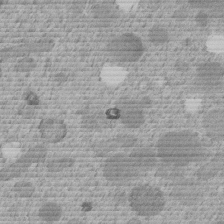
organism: C. elegans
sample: C. elegans embryo early stage